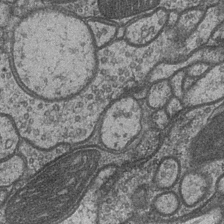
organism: Drosophila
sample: Optic medulla